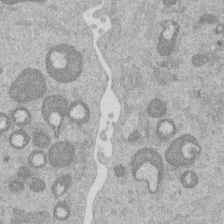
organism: Mouse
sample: Dividing mouse embryo 1 cell stage